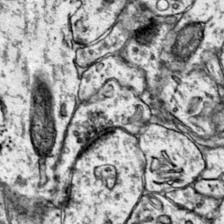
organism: Mouse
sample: Primary visual cortex